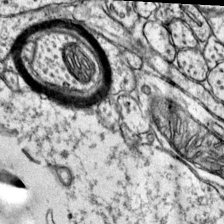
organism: Mouse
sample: Primary visual cortex